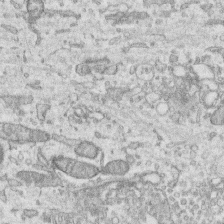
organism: Human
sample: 1205lu cells